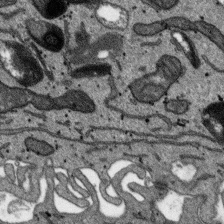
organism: Human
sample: Lung epithelial cells, uninfected (mock) control